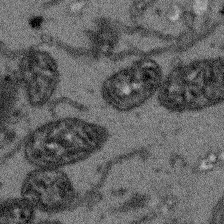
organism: Arabidopsis thaliana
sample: Root tip